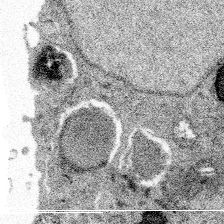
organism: Spongilla lacustris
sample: Multiple